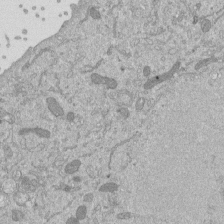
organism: Mouse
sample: ED-1 cell nuclei; centrioles